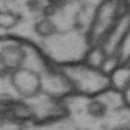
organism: Drosophila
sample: Brain